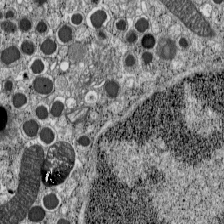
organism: C57BL Mouse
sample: Pancreatic islet